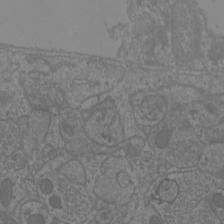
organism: Mouse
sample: Cortical neurons